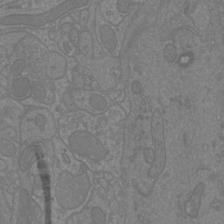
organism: Mouse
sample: Cortical neurons